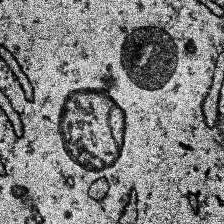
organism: Human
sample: Temporal Lobe